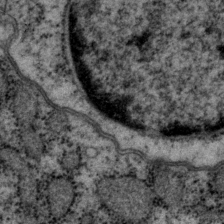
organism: P. pacificus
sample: Pharynx